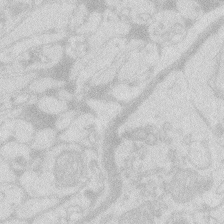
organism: Zebrafish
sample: Macrophage